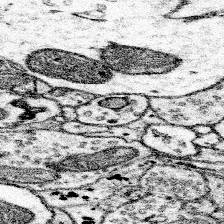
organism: Mouse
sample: Somatosensory cortex neuropil